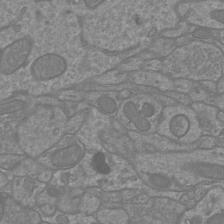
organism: Mouse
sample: Cortical neurons